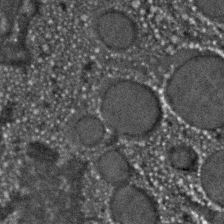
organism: C. elegans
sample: C. elegans embryo